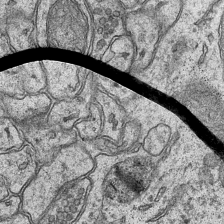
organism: Mouse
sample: CA1 Hippocampus